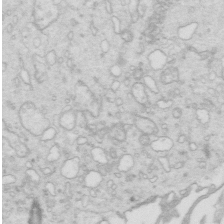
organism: Mouse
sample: Multiciliated cells